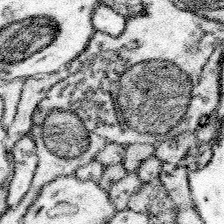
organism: Mouse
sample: Somatosensory cortex neuropil